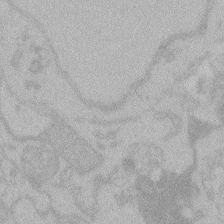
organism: Zebrafish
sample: Macrophage infected with Toxoplasma gondii